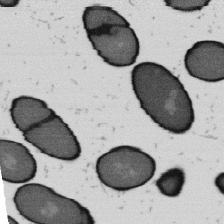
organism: B. subtilis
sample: Bacterial spore